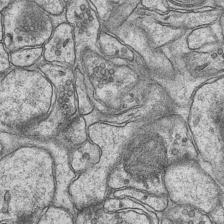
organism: Mouse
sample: CA1 Hippocampus